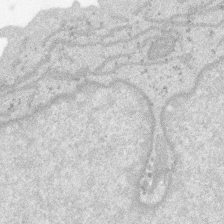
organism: Human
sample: Lung epithelial cells infected with SARS-CoV-2